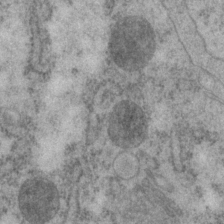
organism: P. pacificus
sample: Pharynx